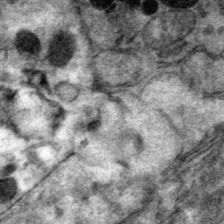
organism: Mouse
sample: Mouse hepatocytes